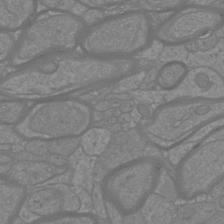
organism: Mouse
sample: Cortical neurons